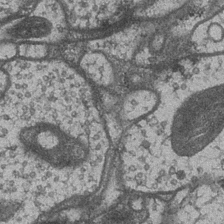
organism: Drosophila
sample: Optic medulla